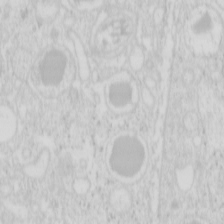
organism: Mouse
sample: Pancreas